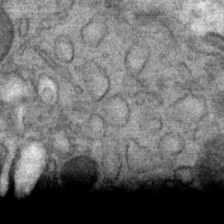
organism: Mouse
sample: Mouse Salivary gland